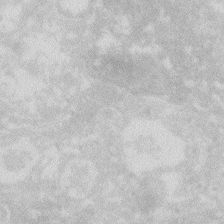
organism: Zebrafish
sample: Macrophage